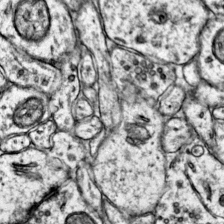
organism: Mouse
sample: Primary visual cortex